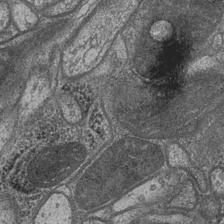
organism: Drosophila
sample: Optic medulla